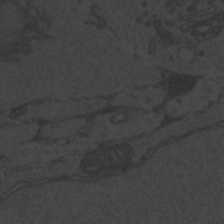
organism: Zebrafish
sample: Macrophage infected with Toxoplasma gondii